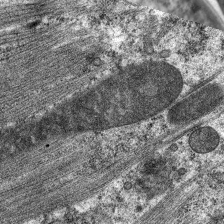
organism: C. elegans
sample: Pharynx